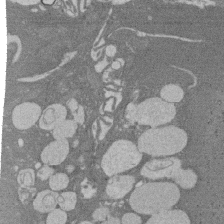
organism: Rat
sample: Salivary granule